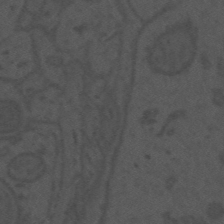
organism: Mouse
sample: Suprachiasmatic nucleus